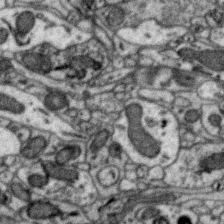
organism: Zebra finch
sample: Brain